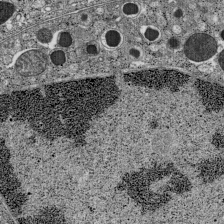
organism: C57BL Mouse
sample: Pancreatic islet